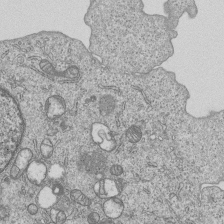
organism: Human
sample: MDA-MB-231 cells